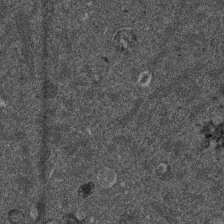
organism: Mouse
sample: Dividing mouse embryo 1 cell stage